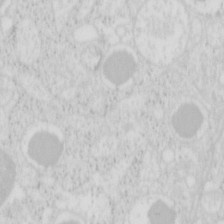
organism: Mouse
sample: Pancreas